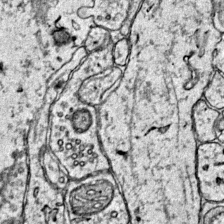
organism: Mouse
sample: Primary visual cortex